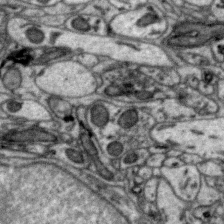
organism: Zebra finch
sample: Brain